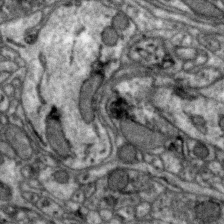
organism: Zebra finch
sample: Brain